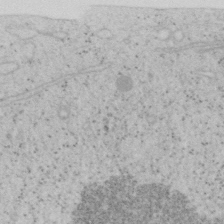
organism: Human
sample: HeLa cells